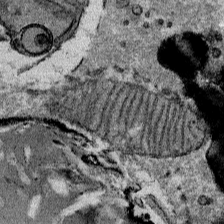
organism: Mouse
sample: Mouse Salivary gland